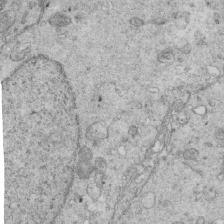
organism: Mouse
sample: Multiciliated cells